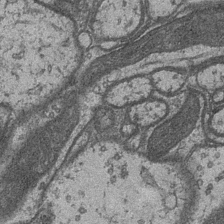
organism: Drosophila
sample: Optic medulla